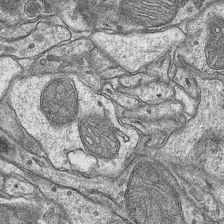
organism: Mouse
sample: CA1 Hippocampus